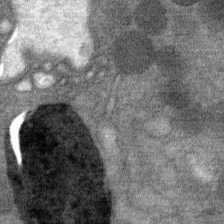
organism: Mouse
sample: Mouse Salivary gland